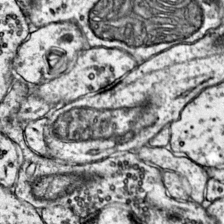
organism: Mouse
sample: Primary visual cortex